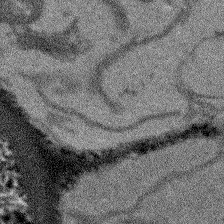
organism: Arabidopsis thaliana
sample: Root tip